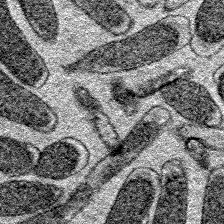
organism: E. coli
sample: E. Coli Bacteria